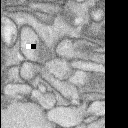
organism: Rabbit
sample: Retina